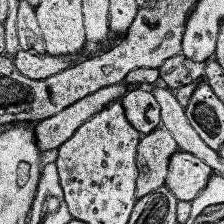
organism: Human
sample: Temporal Lobe